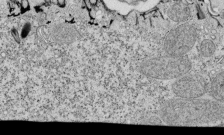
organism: Tetrahymena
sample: Cilia in tetrahymena